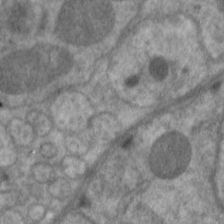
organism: C. elegans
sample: Pharynx